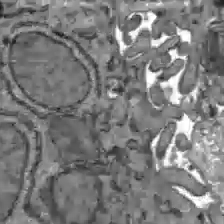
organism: C57BL Mouse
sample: Liver